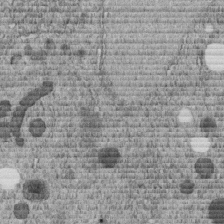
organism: C. elegans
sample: C. elegans embryo early stage